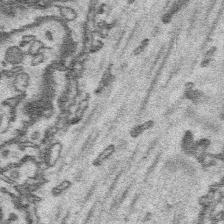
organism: Platynereis dumerilii